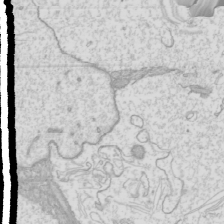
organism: Mouse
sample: Cilia; mouse epididymis